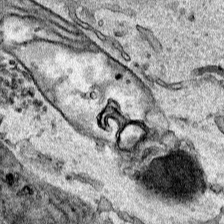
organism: Human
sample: Mitochondria in HCT116 cells